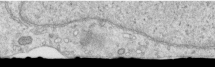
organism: Human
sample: Centriole in RPE cells